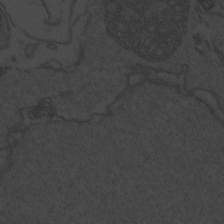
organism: Zebrafish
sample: Macrophage infected with Toxoplasma gondii